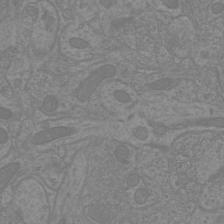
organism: Mouse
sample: Cortical neurons